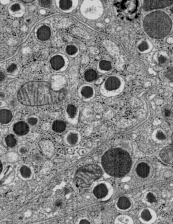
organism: C57BL Mouse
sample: Pancreatic islet